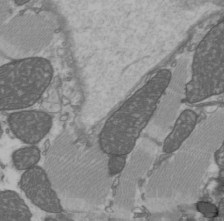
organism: C57BL Mouse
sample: Heart